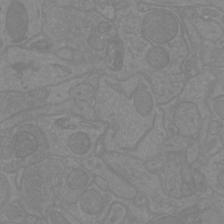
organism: Mouse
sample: Cortical neurons